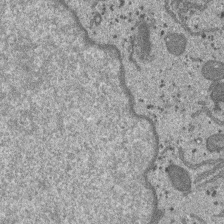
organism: Human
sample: Lung epithelial cells infected with SARS-CoV-2